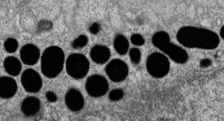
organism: Zebrafish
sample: Cilia; retinal pigment epithelium